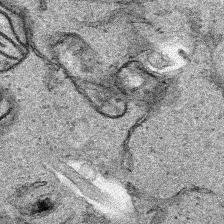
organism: Human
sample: Mitochondria in HCT116 cells